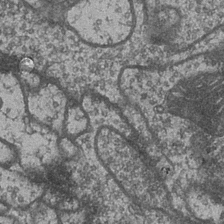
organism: Drosophila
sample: Optic medulla